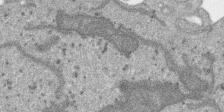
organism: Human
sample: Lung epithelial cells infected with SARS-CoV-2